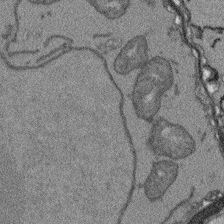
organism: Arabidopsis thaliana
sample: Root tip